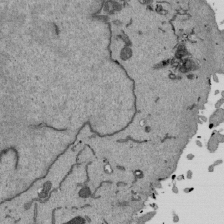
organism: Mouse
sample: ED-1 cell nuclei; centrioles